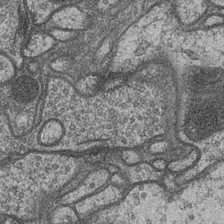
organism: Drosophila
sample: Optic medulla